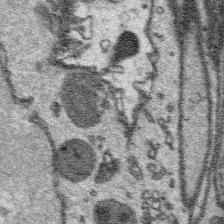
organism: Platynereis dumerilii